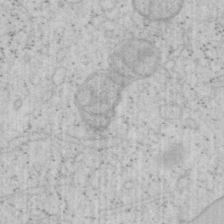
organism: Human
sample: HeLa cells